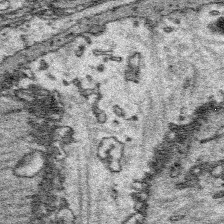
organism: Platynereis dumerilii